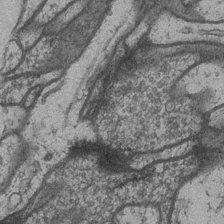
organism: Drosophila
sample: Optic medulla